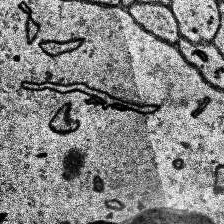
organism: Human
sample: Temporal Lobe